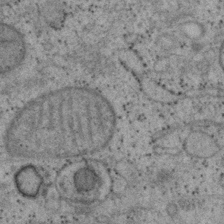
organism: Human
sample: HeLa cells